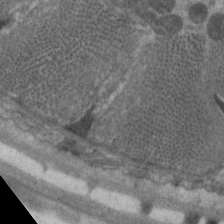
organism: C. elegans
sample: Pharynx